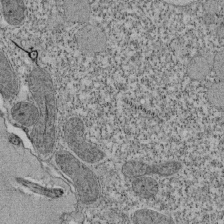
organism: Tetrahymena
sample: Cilia in tetrahymena